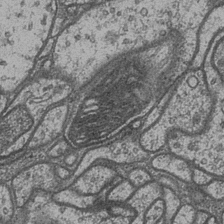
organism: Drosophila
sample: Optic medulla